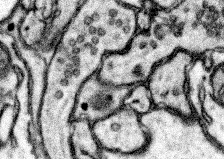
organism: Mouse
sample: Somatosensory cortex neuropil